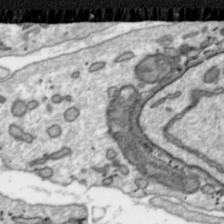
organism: Toxoplasma gondii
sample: Parasites in a vacuole inside a host cell